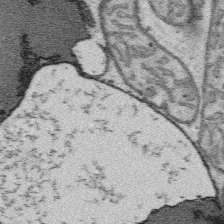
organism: Platynereis dumerilii